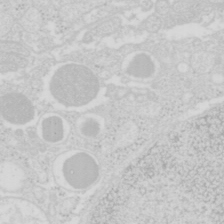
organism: Mouse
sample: Pancreas